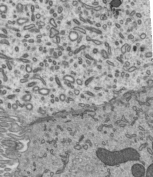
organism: Mouse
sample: Mouse epididymis efferent ductule cilia